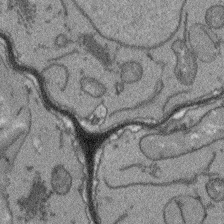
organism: Arabidopsis thaliana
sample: Root tip